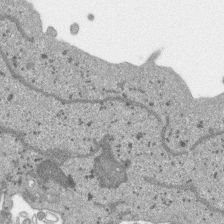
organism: Human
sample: Lung epithelial cells infected with SARS-CoV-2